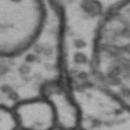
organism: Drosophila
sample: Brain